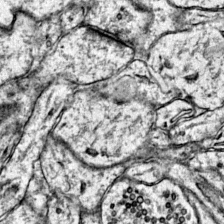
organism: Mouse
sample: Primary visual cortex